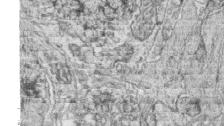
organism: Zebrafish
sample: synaptic ribbons in rod cells and cone cells